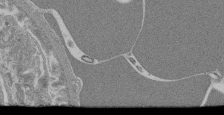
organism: Mouse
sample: Glomerulus